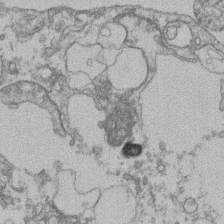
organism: Mouse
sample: T cell stromal cell synapse